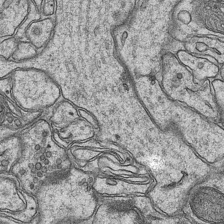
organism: Mouse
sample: CA1 Hippocampus